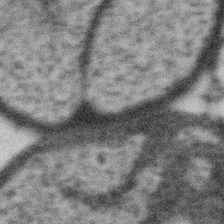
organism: Gemmata obscuriglobus